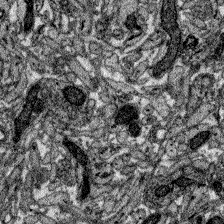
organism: Zebrafish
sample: Larval olfactory bulb